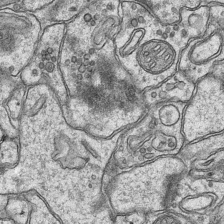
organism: Mouse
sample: CA1 Hippocampus